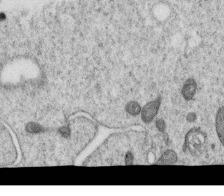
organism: C. elegans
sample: C. elegans oocyte; sperm cells